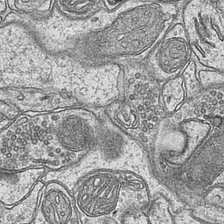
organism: Mouse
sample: CA1 Hippocampus